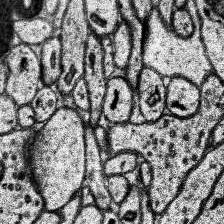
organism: Human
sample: Temporal Lobe